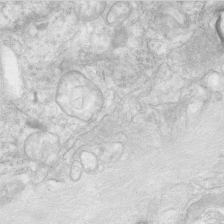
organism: Human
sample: Neocortex